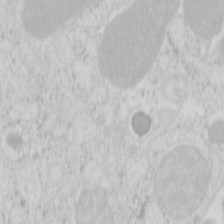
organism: Mouse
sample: Pancreas